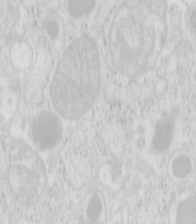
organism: Mouse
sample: Pancreas